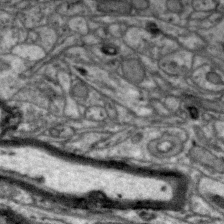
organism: Zebra finch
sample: Brain